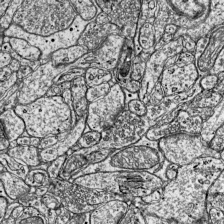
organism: Mouse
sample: Visual Cortex